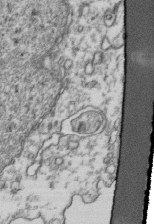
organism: Human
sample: Activated Jurkat CD4+ T cells